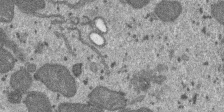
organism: Human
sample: Lung epithelial cells infected with SARS-CoV-2